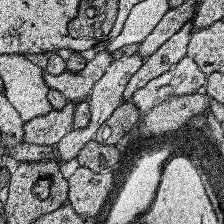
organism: Human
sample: Temporal Lobe